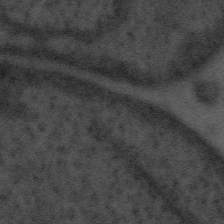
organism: Tuwongella immobilis